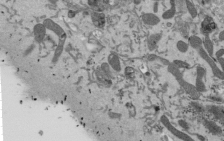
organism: Mouse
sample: ED-1 cell nuclei; centrioles